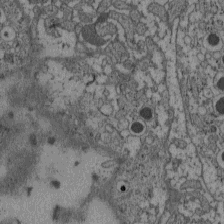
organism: C57BL Mouse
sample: Pancreatic islet